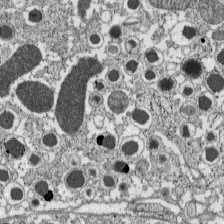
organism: C57BL Mouse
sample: Pancreatic islet